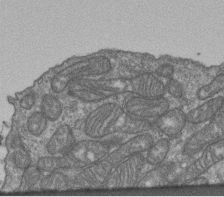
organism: Human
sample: Retinal organoid Rod and Cone cells